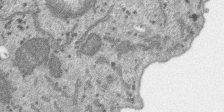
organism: Human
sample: Lung epithelial cells infected with SARS-CoV-2